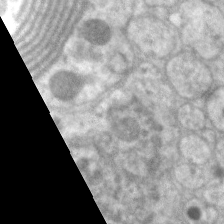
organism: C. elegans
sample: Pharynx